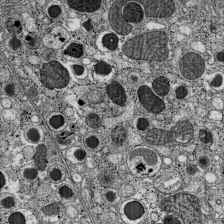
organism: C57BL Mouse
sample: Pancreatic islet